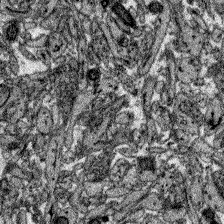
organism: Zebrafish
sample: Larval olfactory bulb